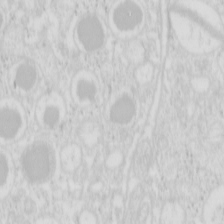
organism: Mouse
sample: Pancreas